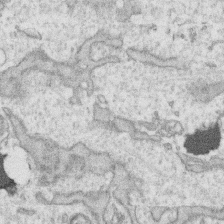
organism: Human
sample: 1205lu cells